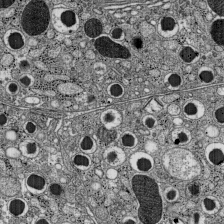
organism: C57BL Mouse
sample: Pancreatic islet